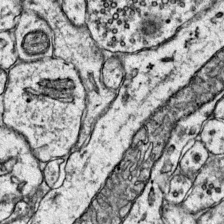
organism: Mouse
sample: Primary visual cortex